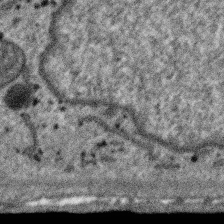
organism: Human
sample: Lung epithelial cells infected with SARS-CoV-2